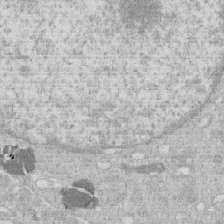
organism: Human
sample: Macrophage cells